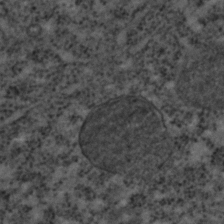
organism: C. elegans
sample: C. elegans embryo